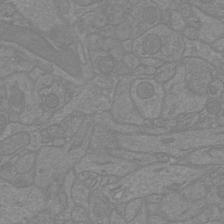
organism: Mouse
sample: Cortical neurons